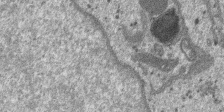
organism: Human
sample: Lung epithelial cells infected with SARS-CoV-2